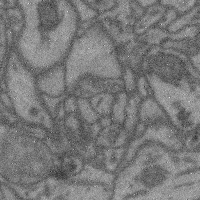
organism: Mouse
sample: Cerebral cortex